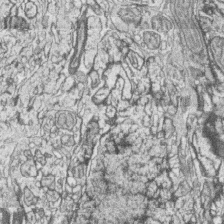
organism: Zebrafish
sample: synaptic ribbons in rod cells and cone cells